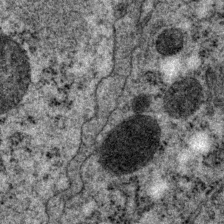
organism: P. pacificus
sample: Pharynx